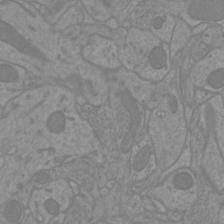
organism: Mouse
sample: Cortical neurons